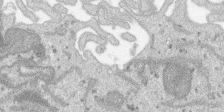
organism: Human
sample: Lung epithelial cells infected with SARS-CoV-2